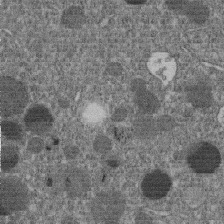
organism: C. elegans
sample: C. elegans embryo early stage